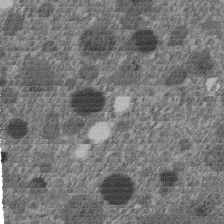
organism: C. elegans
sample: C. elegans embryo early stage